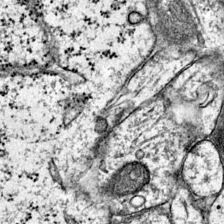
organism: Mouse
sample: Primary visual cortex